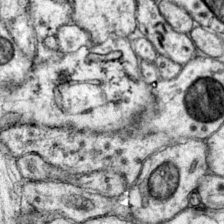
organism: Mouse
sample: Primary visual cortex